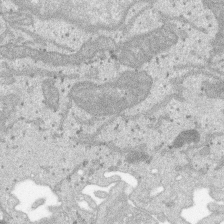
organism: Human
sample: Lung epithelial cells infected with SARS-CoV-2